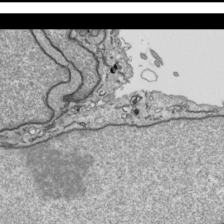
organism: Human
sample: Mitochondria in HCT116 cells